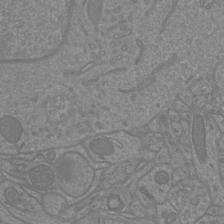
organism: Mouse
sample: Cortical neurons